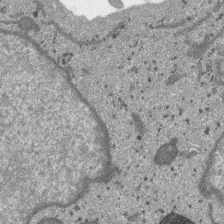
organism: Human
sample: Lung epithelial cells infected with SARS-CoV-2